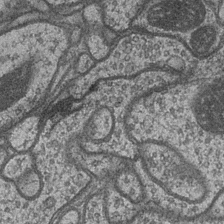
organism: Drosophila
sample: Optic medulla